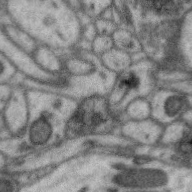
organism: Zebra finch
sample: Brain